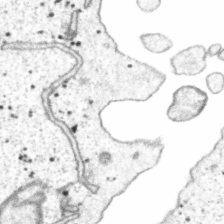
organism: Human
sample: HeLa cells